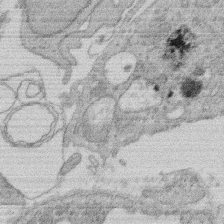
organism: Rat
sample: Salivary granule